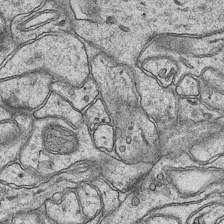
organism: Mouse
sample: CA1 Hippocampus